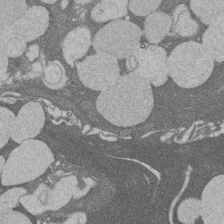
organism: Rat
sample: Salivary granule